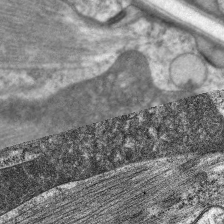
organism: C. elegans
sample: Pharynx